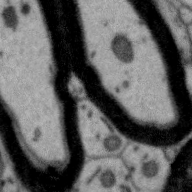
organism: Zebra finch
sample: Brain